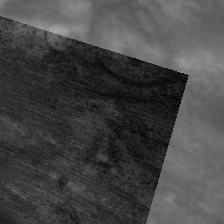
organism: C. elegans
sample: Pharynx